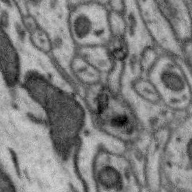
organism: Zebra finch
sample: Brain